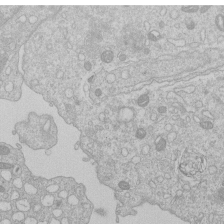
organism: Human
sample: Macrophage cells